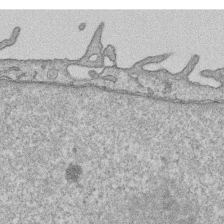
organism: Human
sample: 1205lu cells